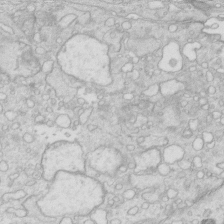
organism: Mouse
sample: Multiciliated cells